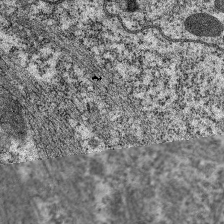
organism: C. elegans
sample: Pharynx